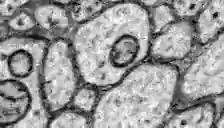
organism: Zebrafish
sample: Brain